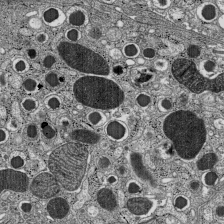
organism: C57BL Mouse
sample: Pancreatic islet